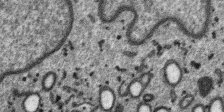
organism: Human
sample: Lung epithelial cells infected with SARS-CoV-2